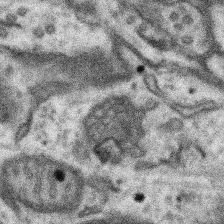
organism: Mouse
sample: Somatosensory cortex neuropil